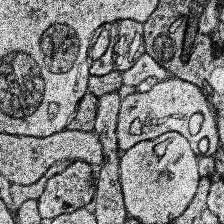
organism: Human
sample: Temporal Lobe